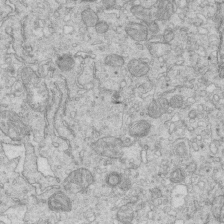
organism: Mouse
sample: Multiciliated cells